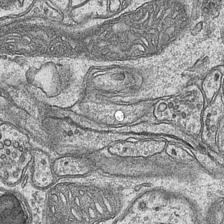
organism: Mouse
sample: CA1 Hippocampus